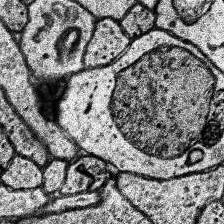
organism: Human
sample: Temporal Lobe